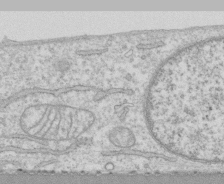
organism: Human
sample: CRL-1474